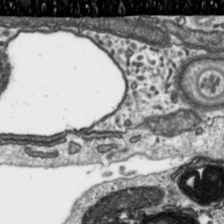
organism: Toxoplasma gondii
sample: Parasites in a vacuole inside a host cell